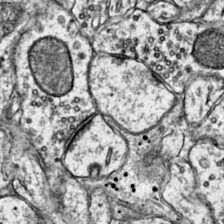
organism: Mouse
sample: Primary visual cortex